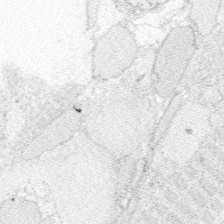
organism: Zebrafish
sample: Whole-Brain